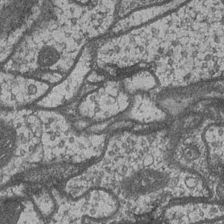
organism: Drosophila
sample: Optic medulla